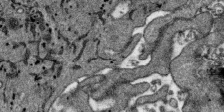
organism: Human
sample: Lung epithelial cells, uninfected (mock) control